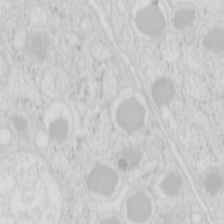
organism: Mouse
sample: Pancreas